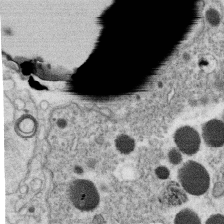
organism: C. elegans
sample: C. elegans oocyte; sperm cells